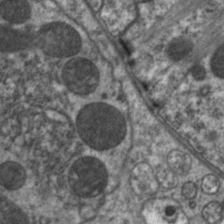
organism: C. elegans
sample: Pharynx